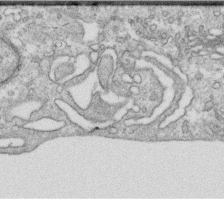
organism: Human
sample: Centriole in RPE cells